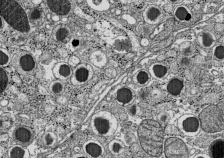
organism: C57BL Mouse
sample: Pancreatic islet